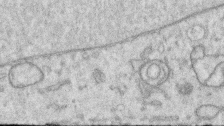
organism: Human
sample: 1205lu cells